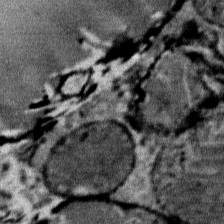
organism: Mouse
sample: Mouse Salivary gland